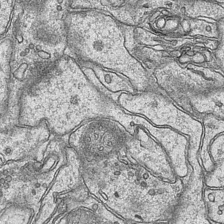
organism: Mouse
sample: CA1 Hippocampus